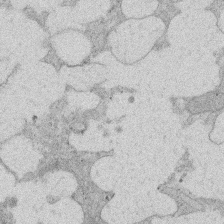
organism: Rat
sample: Salivary granule